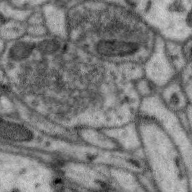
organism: Zebra finch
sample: Brain